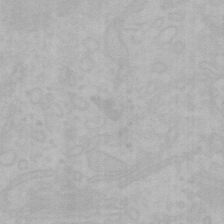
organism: Mouse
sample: Choroid plexus